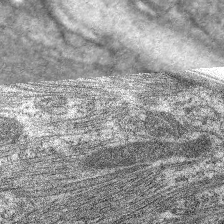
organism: C. elegans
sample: Pharynx